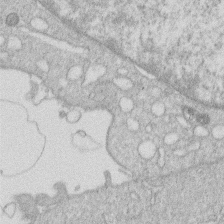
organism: Human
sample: Macrophage cells